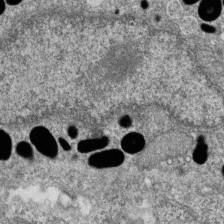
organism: Zebrafish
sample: Cilia; retinal pigment epithelium